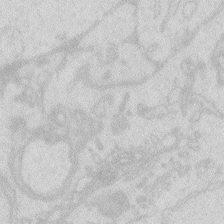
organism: Zebrafish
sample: Macrophage